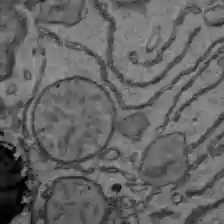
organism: C57BL Mouse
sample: Liver